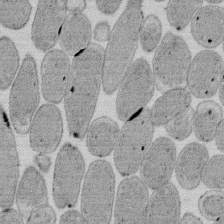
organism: E. coli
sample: Bacterial nucleoid